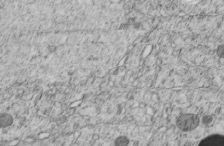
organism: C. elegans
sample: C. elegans embryo early stage